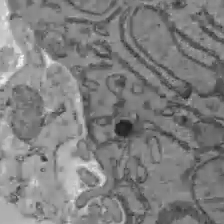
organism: C57BL Mouse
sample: Liver